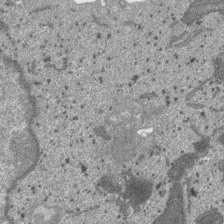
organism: Human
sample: Lung epithelial cells infected with SARS-CoV-2